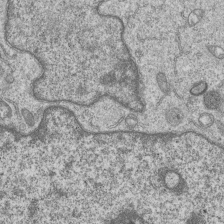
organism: Human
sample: MDA-MB-231 cells